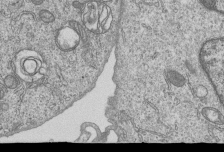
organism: Human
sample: MDA-MB-231 cells